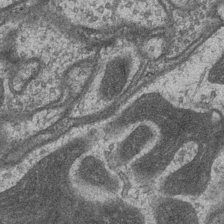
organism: Drosophila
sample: Optic medulla